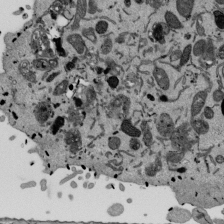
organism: Mouse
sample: ED-1 cell nuclei; centrioles